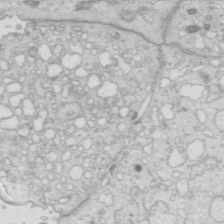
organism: Mouse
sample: Multiciliated cells